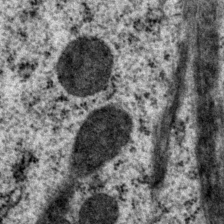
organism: P. pacificus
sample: Pharynx